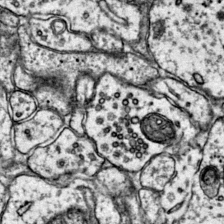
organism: Mouse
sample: Primary visual cortex